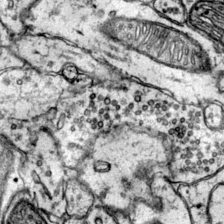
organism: Mouse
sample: Primary visual cortex